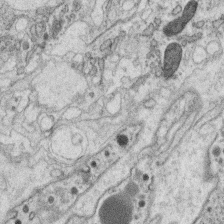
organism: C. elegans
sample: C. elegans oocyte; sperm cells